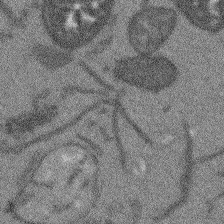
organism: Arabidopsis thaliana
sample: Root tip